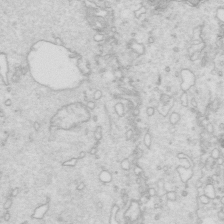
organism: Mouse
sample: Multiciliated cells